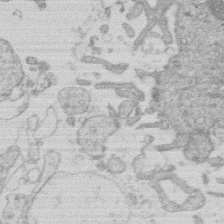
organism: Human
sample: Macrophage cells